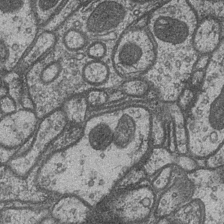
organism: Drosophila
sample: Optic medulla